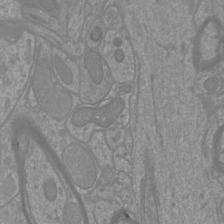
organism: Mouse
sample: Cortical neurons